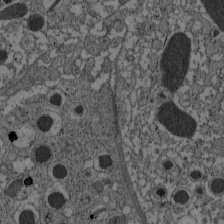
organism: C57BL Mouse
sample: Pancreatic islet